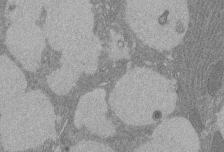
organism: Rat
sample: Salivary granule